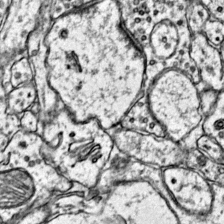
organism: Mouse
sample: Primary visual cortex